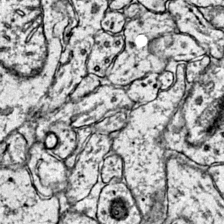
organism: Mouse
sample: Primary visual cortex